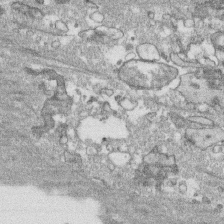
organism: Human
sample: CRL-1474